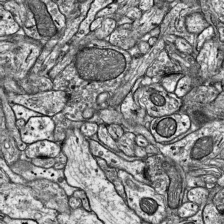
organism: Mouse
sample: Visual Cortex